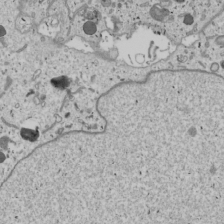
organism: Human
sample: Mitochondria in U2OS cells